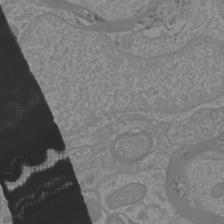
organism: Mouse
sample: Cortical neurons